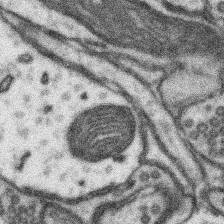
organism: Mouse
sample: Somatosensory cortex neuropil